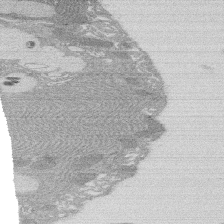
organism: Rat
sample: Salivary granule